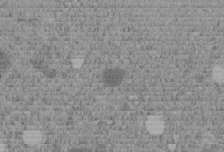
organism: C. elegans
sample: C. elegans embryo early stage